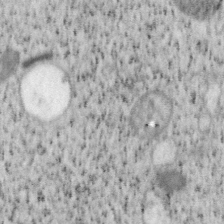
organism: Mouse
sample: OT-I killer T cells with ID8 ovarian cancer cells